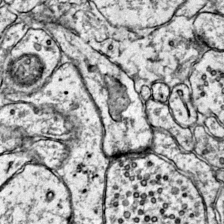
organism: Mouse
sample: Primary visual cortex